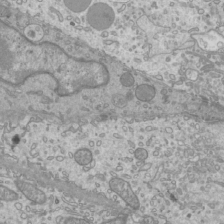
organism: Mouse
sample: Cilia; mouse epididymis